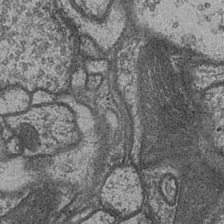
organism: Drosophila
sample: Optic medulla